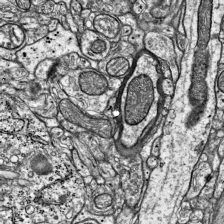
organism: Mouse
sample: Visual Cortex